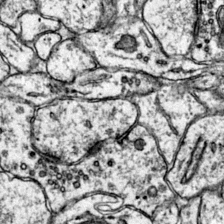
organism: Mouse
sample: Primary visual cortex